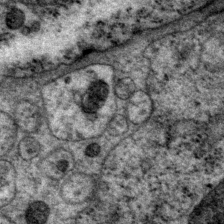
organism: P. pacificus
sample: Pharynx